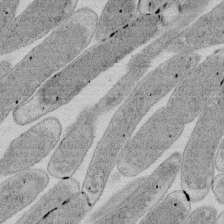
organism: E. coli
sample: Bacterial nucleoid